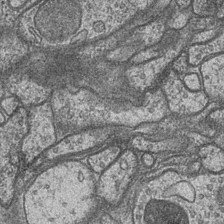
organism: Drosophila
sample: Optic medulla